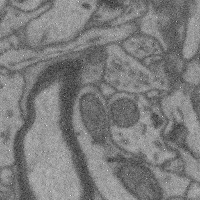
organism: Mouse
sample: Cerebral cortex